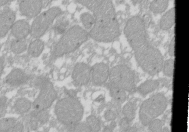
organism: Xenopus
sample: Cilia; centrioles in frog embryo cells